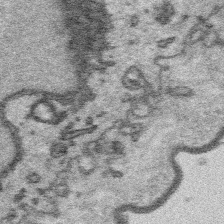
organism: Platynereis dumerilii